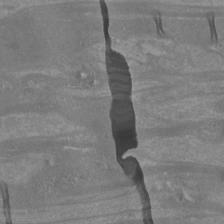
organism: Mouse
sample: Cortical neurons